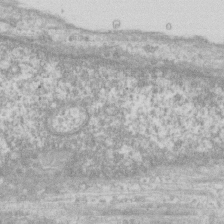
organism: Human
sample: Fibroblast cells